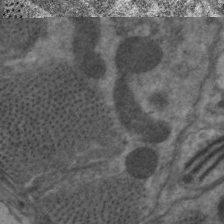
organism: C. elegans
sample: Pharynx